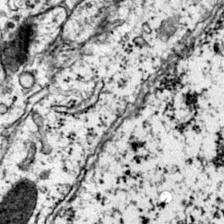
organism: Mouse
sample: Primary visual cortex